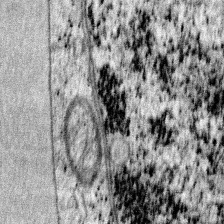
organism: Human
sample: HeLa cells